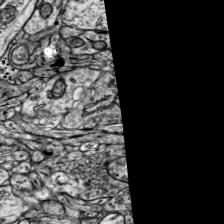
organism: Mouse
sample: Visual Cortex